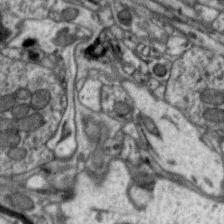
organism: Zebra finch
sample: Brain